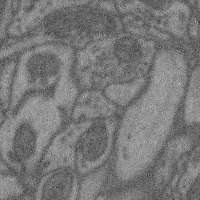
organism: Mouse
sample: Cerebral cortex